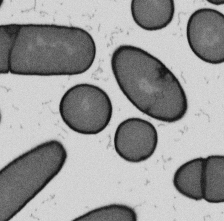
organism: B. subtilis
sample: Bacterial spore